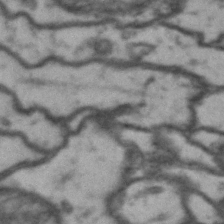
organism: Drosophila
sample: Brain